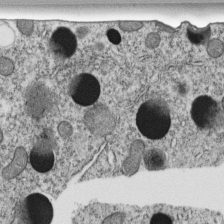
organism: C. elegans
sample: C. elegans embryo early stage